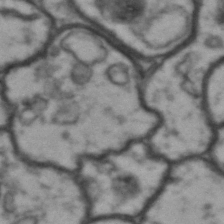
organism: Drosophila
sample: Brain